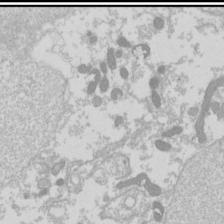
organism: Drosophila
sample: Cell division; meiosis; drosophila spermatocytes